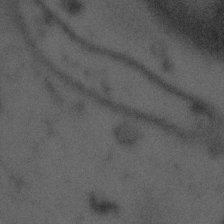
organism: Tuwongella immobilis